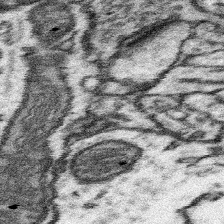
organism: Mouse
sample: Somatosensory cortex neuropil